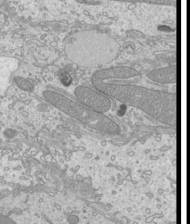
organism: Mouse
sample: Cilia; mouse epididymis